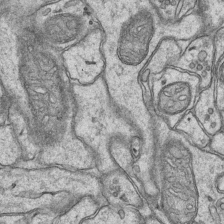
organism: Mouse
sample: CA1 Hippocampus